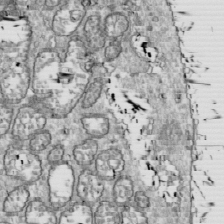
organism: Drosophila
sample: Cell division; meiosis; drosophila spermatocytes